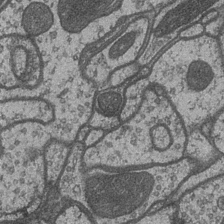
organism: Drosophila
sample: Optic medulla